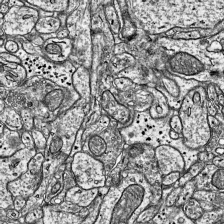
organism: Mouse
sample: Visual Cortex